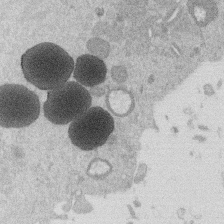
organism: Mouse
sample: Dividing mouse embryo 1 cell stage